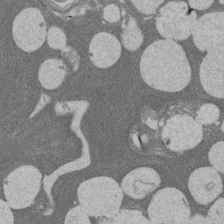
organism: Rat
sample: Salivary granule